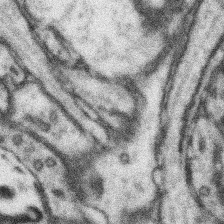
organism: Mouse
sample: Somatosensory cortex neuropil